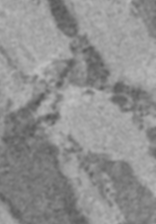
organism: C57BL Mouse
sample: Heart